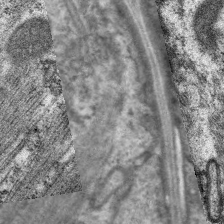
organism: C. elegans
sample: Pharynx